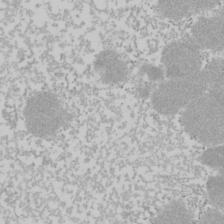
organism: Mouse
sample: Cancer cell death in ED-1 cells